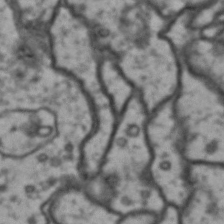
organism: Drosophila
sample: Brain